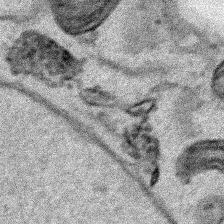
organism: Human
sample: Mitochondria in HCT116 cells